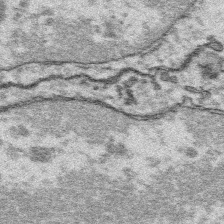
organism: Platynereis dumerilii